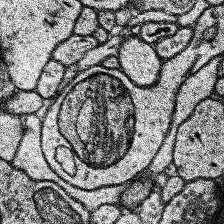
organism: Human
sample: Temporal Lobe